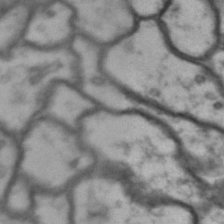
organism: Drosophila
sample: Brain